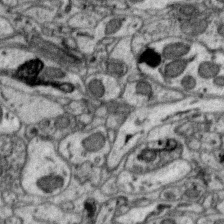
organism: Zebra finch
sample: Brain